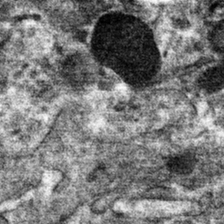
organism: Mouse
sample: Mouse hepatocytes